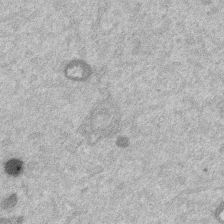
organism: Mouse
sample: Dividing mouse embryo 1 cell stage